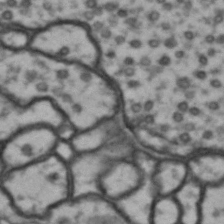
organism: Drosophila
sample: Brain